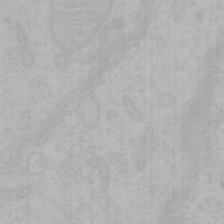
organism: Mouse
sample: Choroid plexus